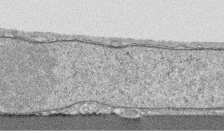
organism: Human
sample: CRL-1474